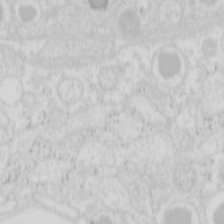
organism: Mouse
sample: Pancreas